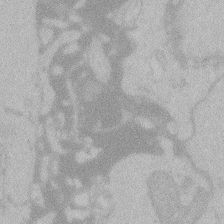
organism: Zebrafish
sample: Macrophage infected with Toxoplasma gondii